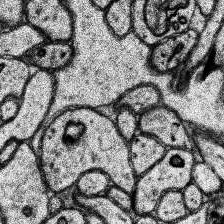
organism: Human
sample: Temporal Lobe